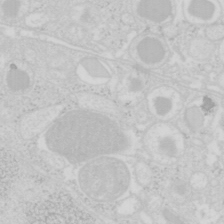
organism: Mouse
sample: Pancreas